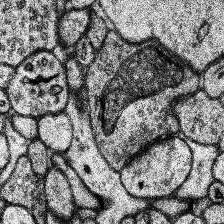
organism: Human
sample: Temporal Lobe